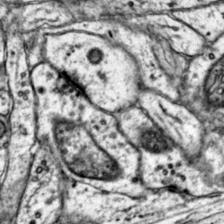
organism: Mouse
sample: Primary visual cortex